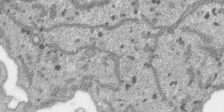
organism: Human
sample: Lung epithelial cells infected with SARS-CoV-2